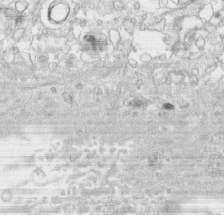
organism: Human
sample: CRL-1474